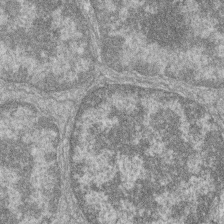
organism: Zebrafish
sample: Cilia; retinal pigment epithelium